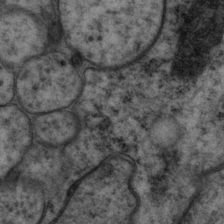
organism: P. pacificus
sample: Pharynx